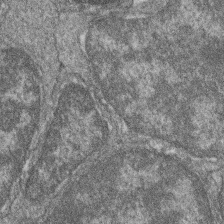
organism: Zebrafish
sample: Cilia; retinal pigment epithelium